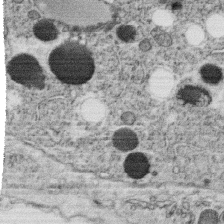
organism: C. elegans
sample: C. elegans oocyte; sperm cells